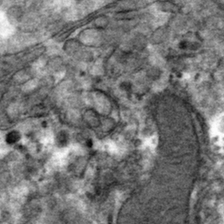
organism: Mouse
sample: Mouse hepatocytes